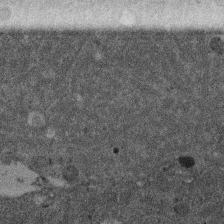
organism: Mouse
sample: Dividing mouse embryo 1 cell stage